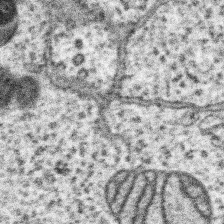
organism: Human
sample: HeLa cells